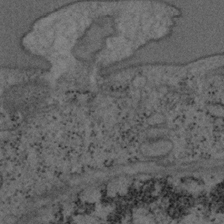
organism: Human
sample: HeLa cells